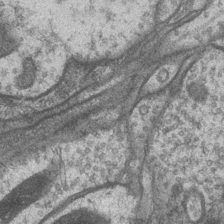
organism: Drosophila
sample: Optic medulla